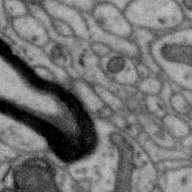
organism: Zebra finch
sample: Brain